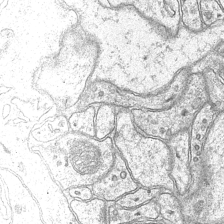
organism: Mouse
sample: CA1 Hippocampus